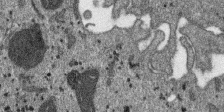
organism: Human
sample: Lung epithelial cells infected with SARS-CoV-2